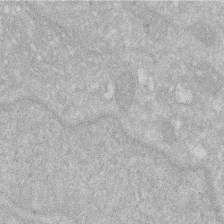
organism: Human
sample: HIV infected U937 cells